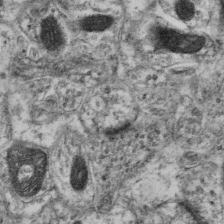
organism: Mouse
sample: Neocortex